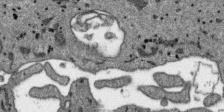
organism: Human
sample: Lung epithelial cells, uninfected (mock) control